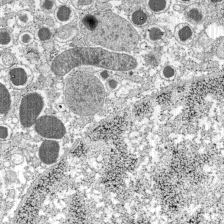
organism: C57BL Mouse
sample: Pancreatic islet